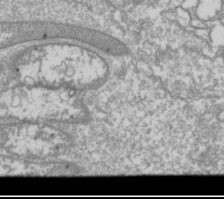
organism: Drosophila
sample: Cell division; meiosis; drosophila spermatocytes